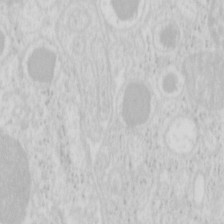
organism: Mouse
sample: Pancreas